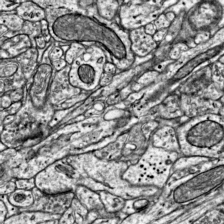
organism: Mouse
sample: Visual Cortex